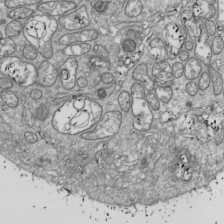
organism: Drosophila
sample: Cell division; meiosis; drosophila spermatocytes